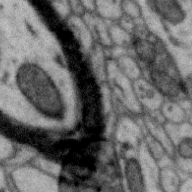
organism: Zebra finch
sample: Brain